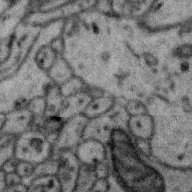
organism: Zebra finch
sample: Brain